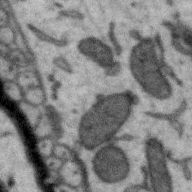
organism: Zebra finch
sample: Brain